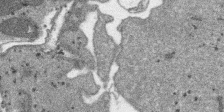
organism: Human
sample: Lung epithelial cells infected with SARS-CoV-2